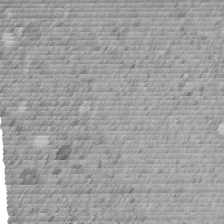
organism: C. elegans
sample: C. elegans embryo early stage